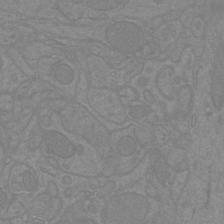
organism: Mouse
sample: Cortical neurons